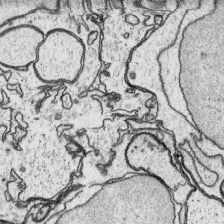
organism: Platynereis dumerilii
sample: Parapodia